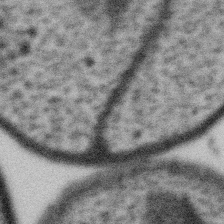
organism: Gemmata obscuriglobus